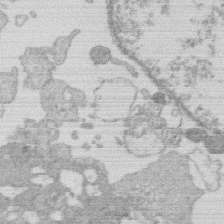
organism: Human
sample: Macrophage cells